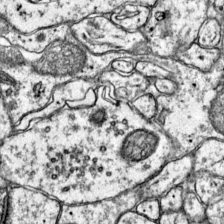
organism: Mouse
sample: Primary visual cortex